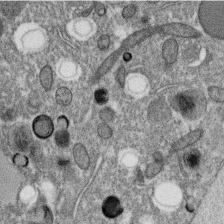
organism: C. elegans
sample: C. elegans oocyte; sperm cells